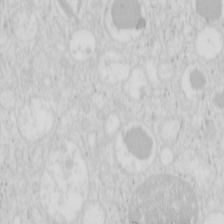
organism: Mouse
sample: Pancreas